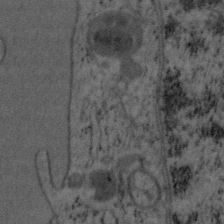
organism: Human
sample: HeLa cells